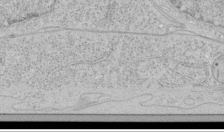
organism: Human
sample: Mitochondria in HCT116 cells